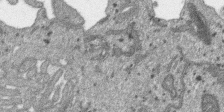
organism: Human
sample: Lung epithelial cells infected with SARS-CoV-2